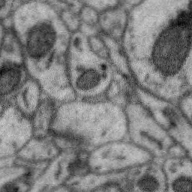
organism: Zebra finch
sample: Brain